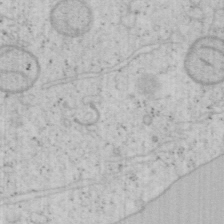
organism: Human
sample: HeLa cells